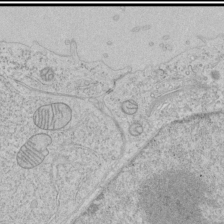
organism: Human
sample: Mitochondria in HCT116 cells